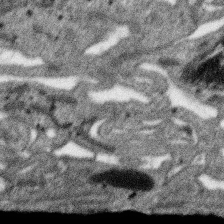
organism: Human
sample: Lung epithelial cells infected with SARS-CoV-2